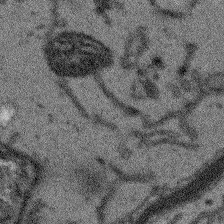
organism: Arabidopsis thaliana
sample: Root tip